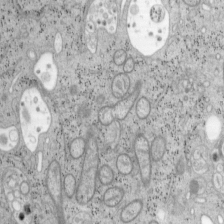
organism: Mouse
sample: OT-I killer T cells with ID8 ovarian cancer cells